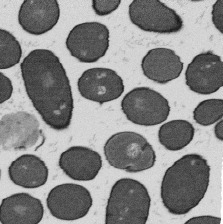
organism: B. subtilis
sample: Bacterial spore